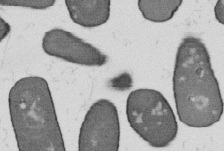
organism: B. subtilis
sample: Bacterial spore